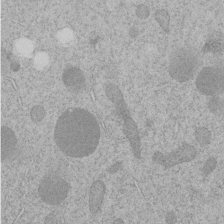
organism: C. elegans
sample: C. elegans embryo early stage